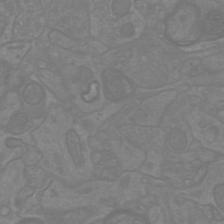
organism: Mouse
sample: Cortical neurons